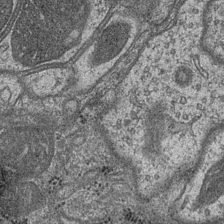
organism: Drosophila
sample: Optic medulla